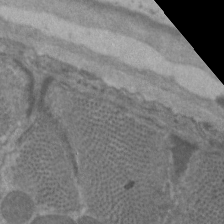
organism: C. elegans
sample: Pharynx